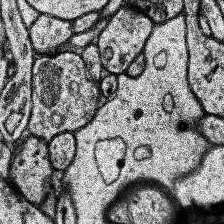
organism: Human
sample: Temporal Lobe